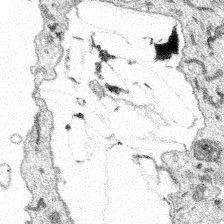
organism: Spongilla lacustris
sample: Multiple